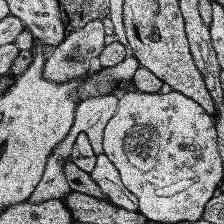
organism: Human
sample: Temporal Lobe